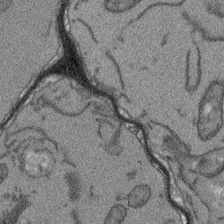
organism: Arabidopsis thaliana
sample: Root tip